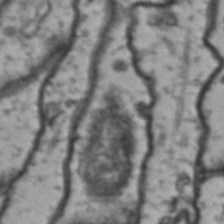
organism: Drosophila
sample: Brain